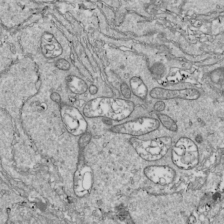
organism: Drosophila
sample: Cell division; meiosis; drosophila spermatocytes